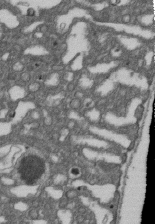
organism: Drosophila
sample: Nephrocyte